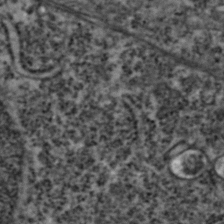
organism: Zebrafish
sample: Zebrafish embryo